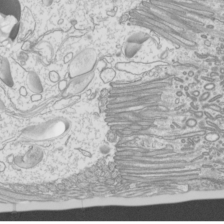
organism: Mouse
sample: Cilia; mouse epididymis